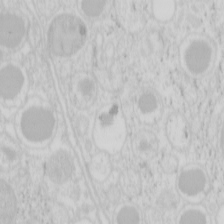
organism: Mouse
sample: Pancreas